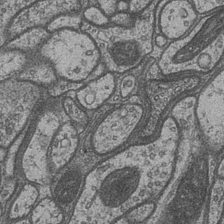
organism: Drosophila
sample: Optic medulla